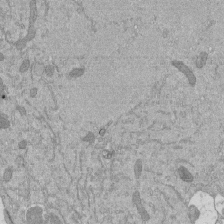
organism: Mouse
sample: ED-1 cell nuclei; centrioles